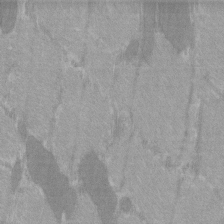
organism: C57BL Mouse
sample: Tibialis anterior muscle cell